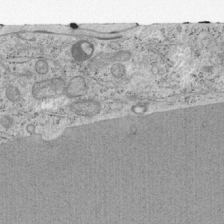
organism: Human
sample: HeLa cells